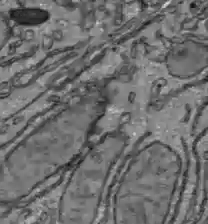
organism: C57BL Mouse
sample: Liver